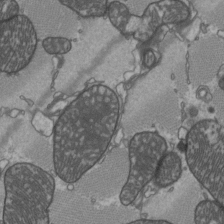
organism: C57BL Mouse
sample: Heart